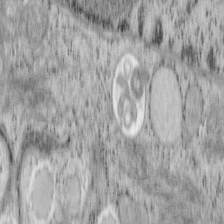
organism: Human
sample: HeLa cells